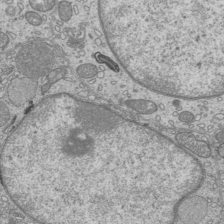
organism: Mouse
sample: Cilia; mouse epididymis